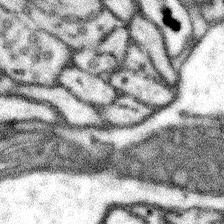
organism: Mouse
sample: Somatosensory cortex neuropil